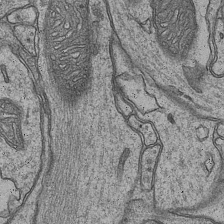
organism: Mouse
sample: CA1 Hippocampus